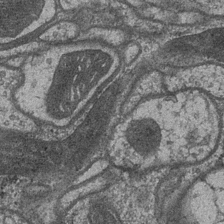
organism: Drosophila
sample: Optic medulla